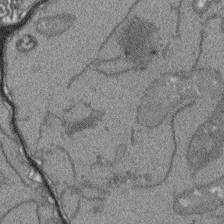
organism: Arabidopsis thaliana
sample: Root tip